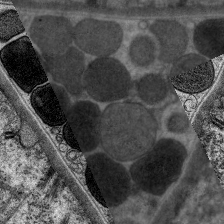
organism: C. elegans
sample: Pharynx